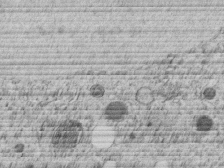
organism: C. elegans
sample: C. elegans embryo early stage